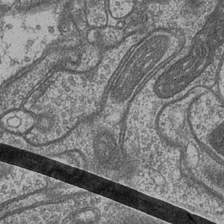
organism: Drosophila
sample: Optic medulla